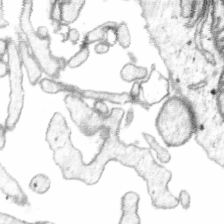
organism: Human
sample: HeLa cells